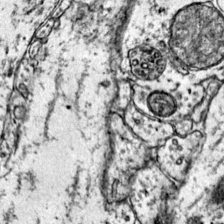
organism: Mouse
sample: Primary visual cortex